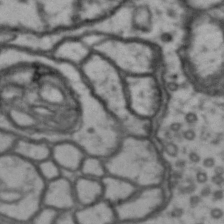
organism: Drosophila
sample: Brain